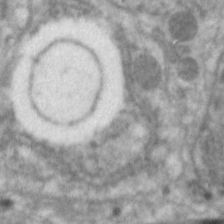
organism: C. elegans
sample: Pharynx